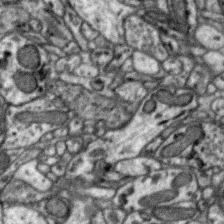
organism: Zebra finch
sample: Brain